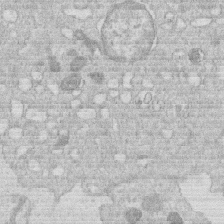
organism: Human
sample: Macrophage cells